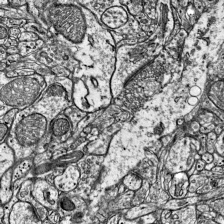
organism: Mouse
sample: Visual Cortex